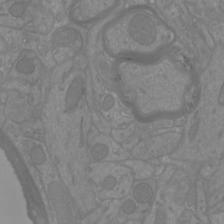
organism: Mouse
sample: Cortical neurons